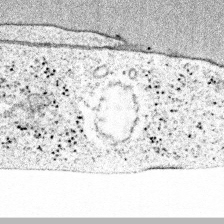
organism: Human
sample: HeLa cells